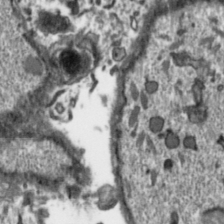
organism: Toxoplasma gondii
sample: Parasites in a vacuole inside a host cell